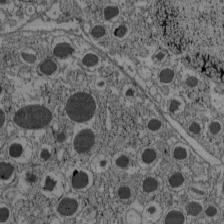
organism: C57BL Mouse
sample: Pancreatic islet